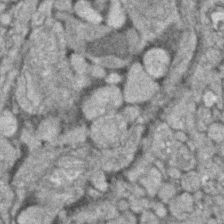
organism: Zebrafish